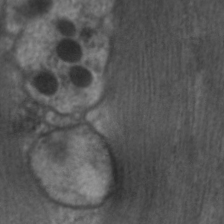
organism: C. elegans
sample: Pharynx